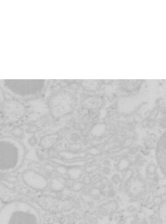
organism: Mouse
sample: Pancreas